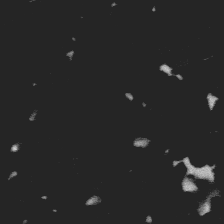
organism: Platynereis dumerilii